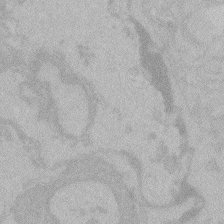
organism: Zebrafish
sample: Macrophage infected with Toxoplasma gondii